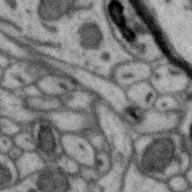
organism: Zebra finch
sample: Brain